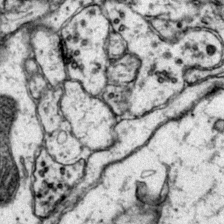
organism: Mouse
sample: Primary visual cortex